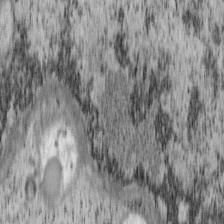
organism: Human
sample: HeLa cells